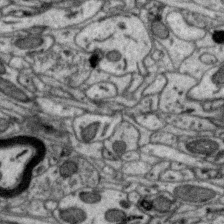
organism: Zebra finch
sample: Brain